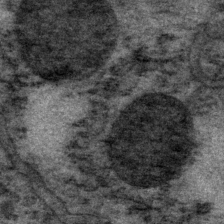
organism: P. pacificus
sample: Pharynx